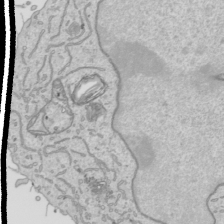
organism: Human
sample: Mitochondria in HCT116 cells